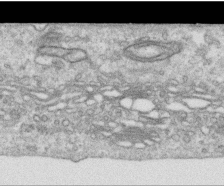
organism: Human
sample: Centriole in RPE cells